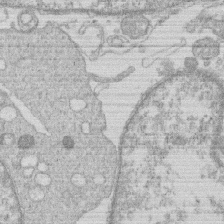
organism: Human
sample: Macrophage cells